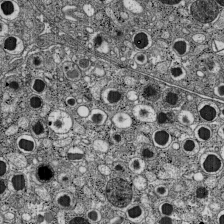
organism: C57BL Mouse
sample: Pancreatic islet